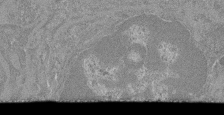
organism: Mouse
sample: Glomerulus